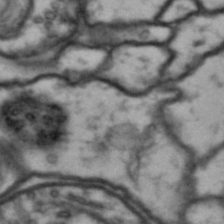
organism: Drosophila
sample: Brain